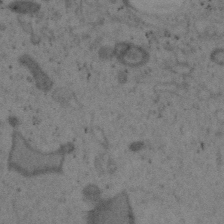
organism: Human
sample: HeLa cells